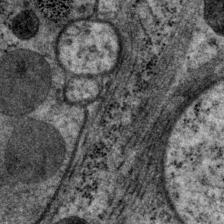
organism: P. pacificus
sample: Pharynx